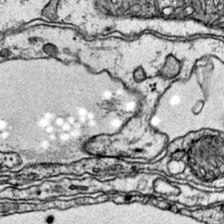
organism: Mouse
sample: Primary visual cortex